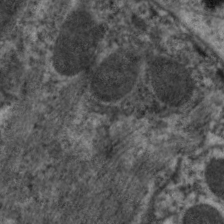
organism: C. elegans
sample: Pharynx